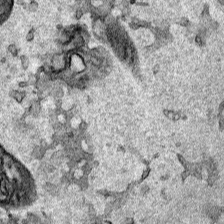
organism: Human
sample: Mitochondria in HCT116 cells